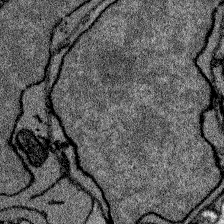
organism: Zebrafish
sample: Larval olfactory bulb